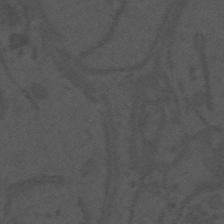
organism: Mouse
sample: Suprachiasmatic nucleus